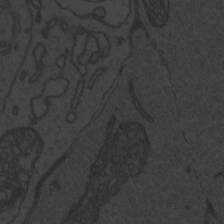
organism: Zebrafish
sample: Macrophage infected with Toxoplasma gondii